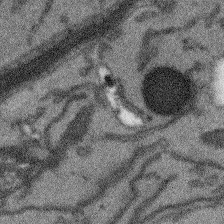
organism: Arabidopsis thaliana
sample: Root tip